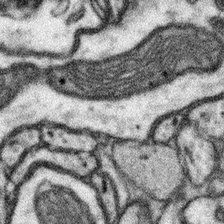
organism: Mouse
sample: Somatosensory cortex neuropil